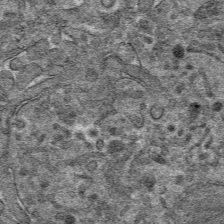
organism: Mouse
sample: Mouse hepatocytes